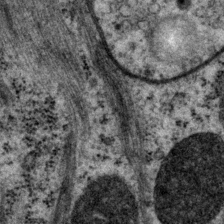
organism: P. pacificus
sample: Pharynx